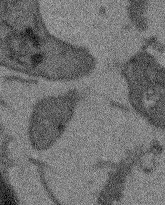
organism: Arabidopsis thaliana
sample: Root tip